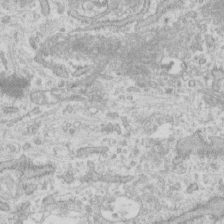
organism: Human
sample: Fibroblast cells